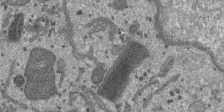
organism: Human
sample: Lung epithelial cells infected with SARS-CoV-2